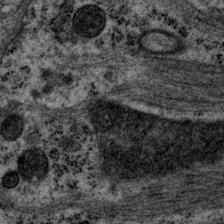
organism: P. pacificus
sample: Pharynx